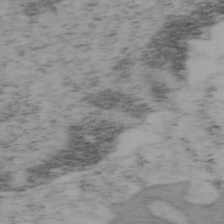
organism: Mouse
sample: OT-I killer T cells with ID8 ovarian cancer cells